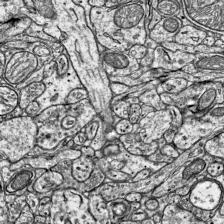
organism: Mouse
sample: Visual Cortex